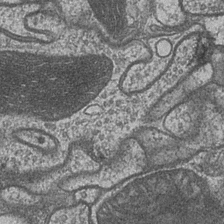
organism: Drosophila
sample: Optic medulla